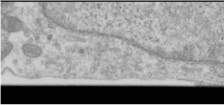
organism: Human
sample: Cilia; basal body in RPE cells